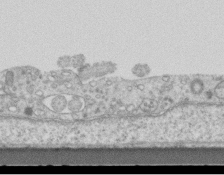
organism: Mouse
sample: Centriole in ependymal cells